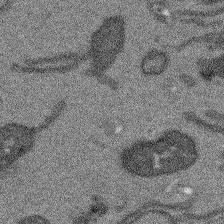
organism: Arabidopsis thaliana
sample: Root tip